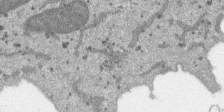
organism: Human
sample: Lung epithelial cells infected with SARS-CoV-2